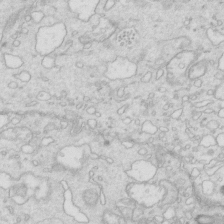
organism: Mouse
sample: Multiciliated cells